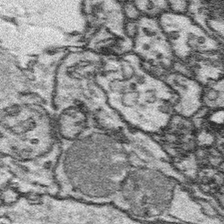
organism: Platynereis dumerilii